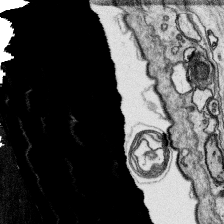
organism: Platynereis dumerilii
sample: Parapodia